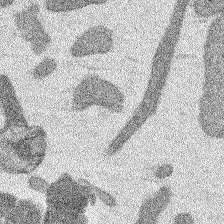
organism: Human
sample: HeLa cells